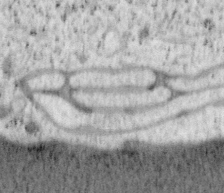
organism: Mouse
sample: OT-I killer T cells with ID8 ovarian cancer cells